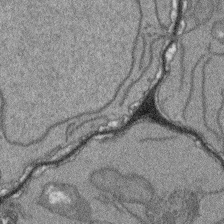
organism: Arabidopsis thaliana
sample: Root tip